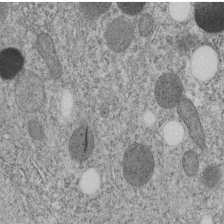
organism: C. elegans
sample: C. elegans embryo early stage